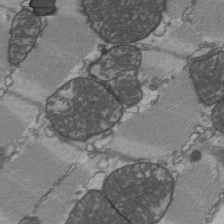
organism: C57BL Mouse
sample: Heart